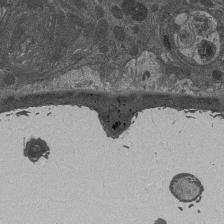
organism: Drosophila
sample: Antenna